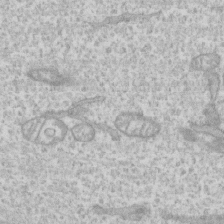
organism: Human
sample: CRL-1474